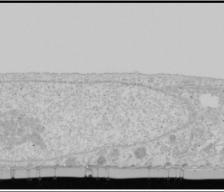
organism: Human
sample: Mitochondria in U2OS cells